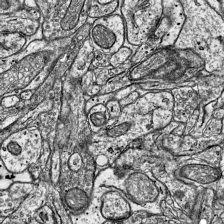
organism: Mouse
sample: Visual Cortex